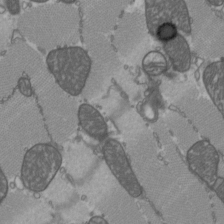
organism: C57BL Mouse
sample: Heart